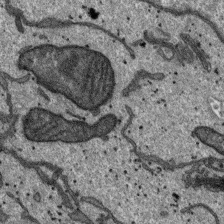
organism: Human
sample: Lung epithelial cells, uninfected (mock) control